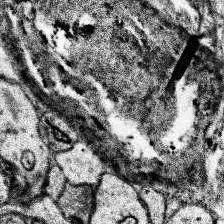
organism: Human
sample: Temporal Lobe